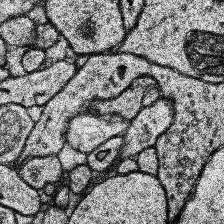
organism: Human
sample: Temporal Lobe